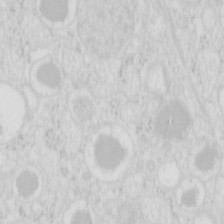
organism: Mouse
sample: Pancreas